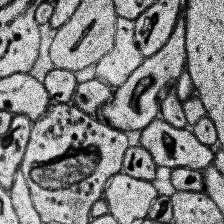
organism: Human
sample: Temporal Lobe